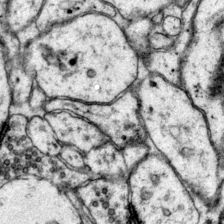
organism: Mouse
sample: Primary visual cortex